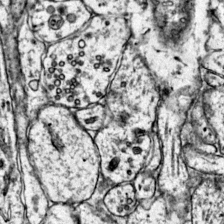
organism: Mouse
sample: Primary visual cortex